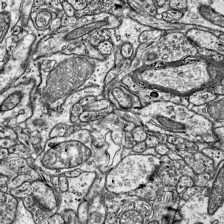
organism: Mouse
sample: Visual Cortex